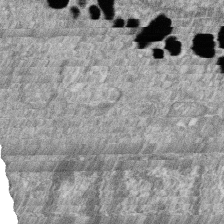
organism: Zebrafish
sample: Cilia; retinal pigment epithelium